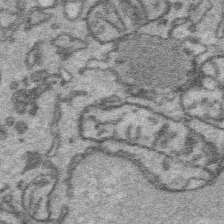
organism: Platynereis dumerilii